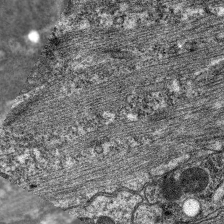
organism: C. elegans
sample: Pharynx